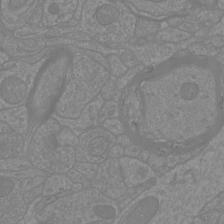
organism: Mouse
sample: Cortical neurons